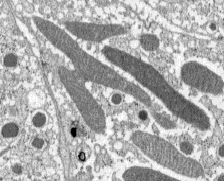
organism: C57BL Mouse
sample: Pancreatic islet